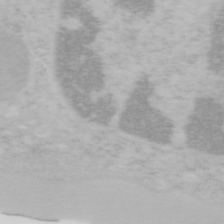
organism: Mouse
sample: OT-I killer T cells with ID8 ovarian cancer cells